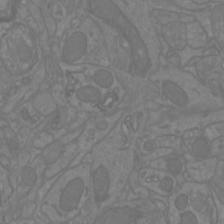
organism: Mouse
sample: Cortical neurons